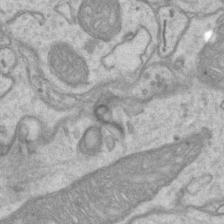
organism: Mouse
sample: CA1 Hippocampus